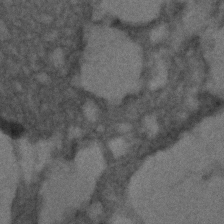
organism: C. elegans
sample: C. elegans embryo